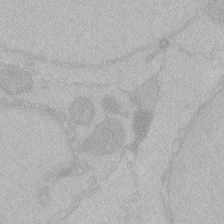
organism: Zebrafish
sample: Macrophage infected with Toxoplasma gondii